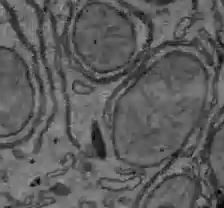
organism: C57BL Mouse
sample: Liver